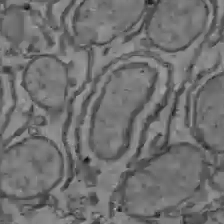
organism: C57BL Mouse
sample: Liver